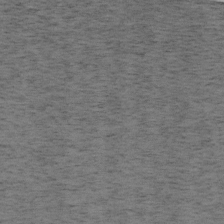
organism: Mouse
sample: OT-I killer T cells with ID8 ovarian cancer cells